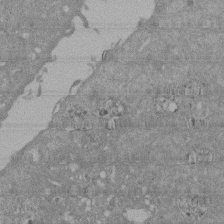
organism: Mouse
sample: ED-1 cell nuclei; centrioles